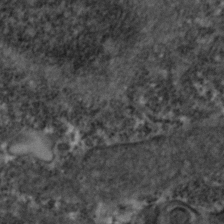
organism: Zebrafish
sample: Zebrafish embryo